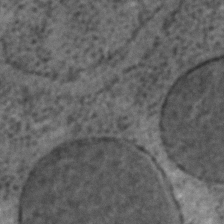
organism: C. elegans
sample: C. elegans embryo